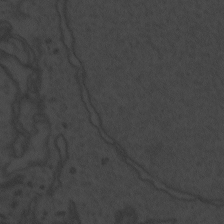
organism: Zebrafish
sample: Macrophage infected with Toxoplasma gondii